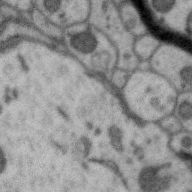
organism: Zebra finch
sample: Brain